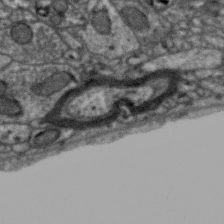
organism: Zebra finch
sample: Brain